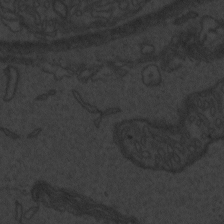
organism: Zebrafish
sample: Macrophage infected with Toxoplasma gondii